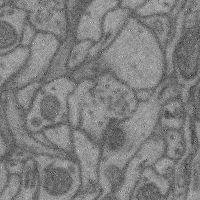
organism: Mouse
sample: Cerebral cortex